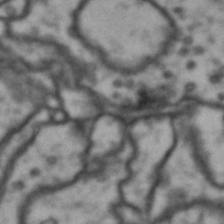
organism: Drosophila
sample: Brain